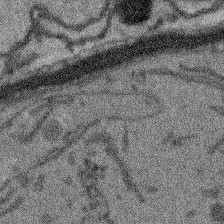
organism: Arabidopsis thaliana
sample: Root tip